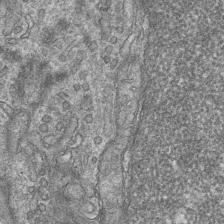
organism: Mouse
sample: CA1 Hippocampus